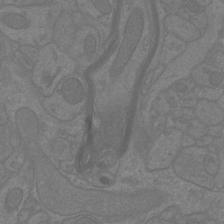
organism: Mouse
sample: Cortical neurons